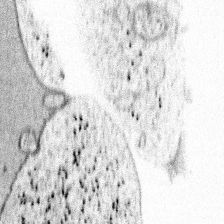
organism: Human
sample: HeLa cells